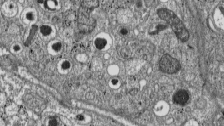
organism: C57BL Mouse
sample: Pancreatic islet